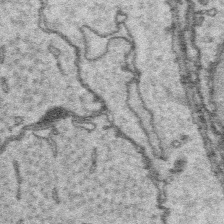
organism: Platynereis dumerilii